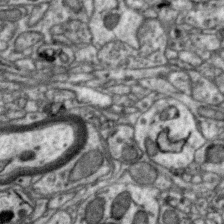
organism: Zebra finch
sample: Brain